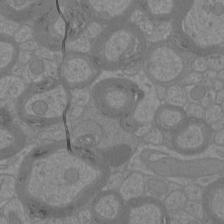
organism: Mouse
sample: Cortical neurons